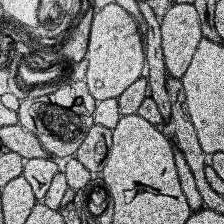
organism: Human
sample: Temporal Lobe